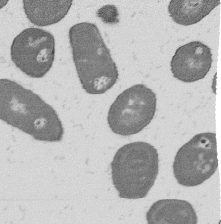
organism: B. subtilis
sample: Bacterial spore